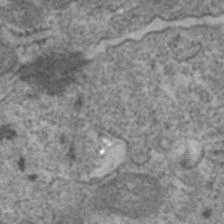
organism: Human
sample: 1205lu cells